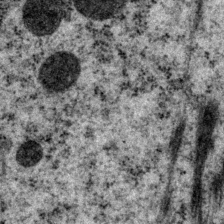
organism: P. pacificus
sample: Pharynx